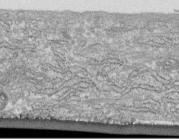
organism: Human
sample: Centriole in fibroblast cells